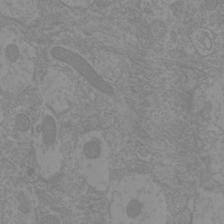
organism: Mouse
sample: Cortical neurons